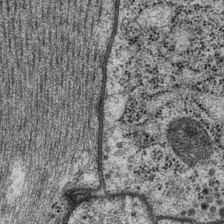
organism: P. pacificus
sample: Pharynx